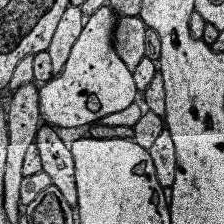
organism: Human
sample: Temporal Lobe